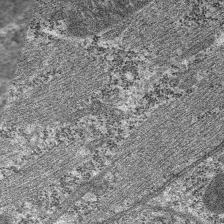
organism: C. elegans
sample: Pharynx